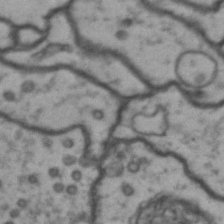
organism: Drosophila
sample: Brain